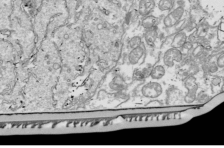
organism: Drosophila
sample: Cell division; meiosis; drosophila spermatocytes